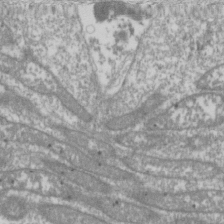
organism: Drosophila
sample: Cell division; meiosis; drosophila spermatocytes